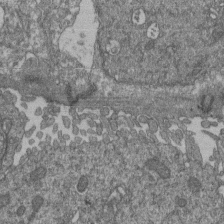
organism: Human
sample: Retinal organoid Rod and Cone cells